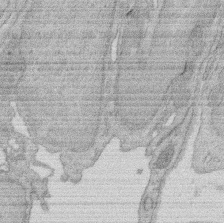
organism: Rat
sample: Salivary granule